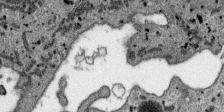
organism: Human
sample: Lung epithelial cells, uninfected (mock) control